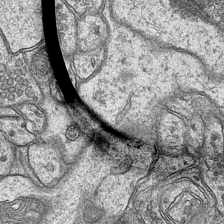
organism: Mouse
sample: CA1 Hippocampus